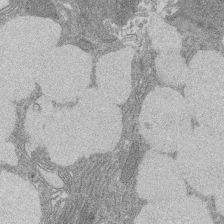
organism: Rat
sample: Salivary granule